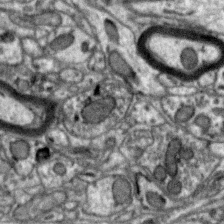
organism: Zebra finch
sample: Brain